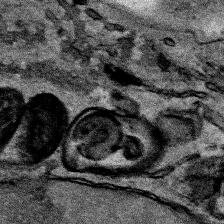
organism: Human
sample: Mitochondria in HCT116 cells